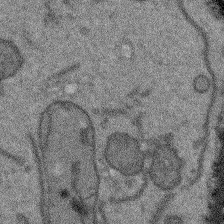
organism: Arabidopsis thaliana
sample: Root tip